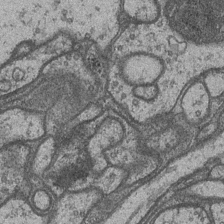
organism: Drosophila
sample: Optic medulla